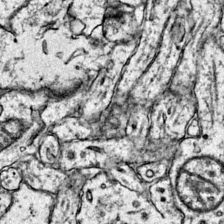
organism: Mouse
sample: Primary visual cortex